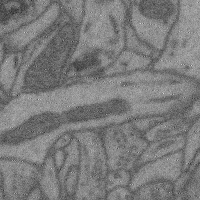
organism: Mouse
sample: Cerebral cortex